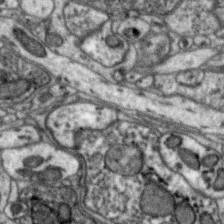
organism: Zebra finch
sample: Brain